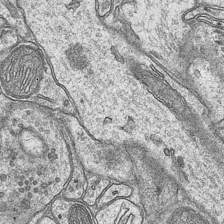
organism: Mouse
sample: CA1 Hippocampus